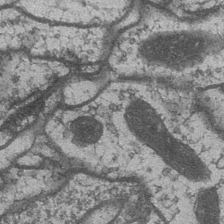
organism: Drosophila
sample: Optic medulla